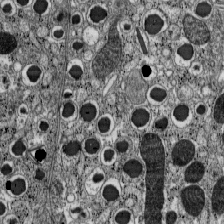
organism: C57BL Mouse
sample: Pancreatic islet